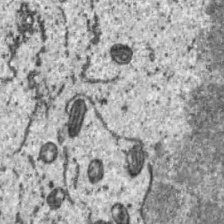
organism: Human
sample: HeLa cells